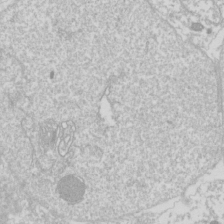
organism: Drosophila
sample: Cell division; meiosis; drosophila spermatocytes